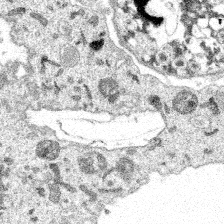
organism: Spongilla lacustris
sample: Multiple